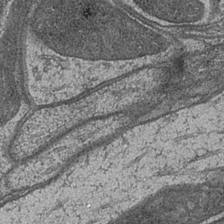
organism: Drosophila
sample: Optic medulla